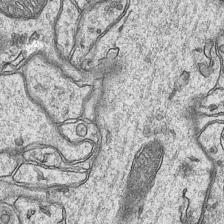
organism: Mouse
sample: CA1 Hippocampus